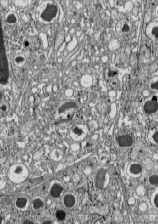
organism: C57BL Mouse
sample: Pancreatic islet